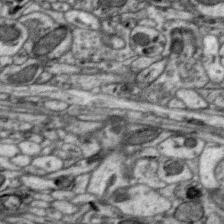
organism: Zebra finch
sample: Brain